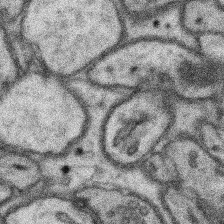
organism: Mouse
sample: Somatosensory cortex neuropil